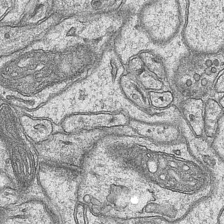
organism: Mouse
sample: CA1 Hippocampus